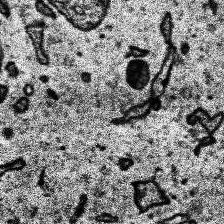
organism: Human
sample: Temporal Lobe